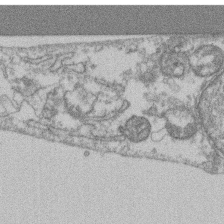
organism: Mouse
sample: T cell stromal cell synapse